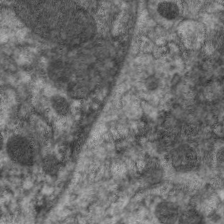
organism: C. elegans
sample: Pharynx